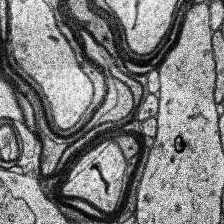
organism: Human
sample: Temporal Lobe